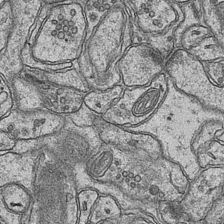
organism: Mouse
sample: CA1 Hippocampus